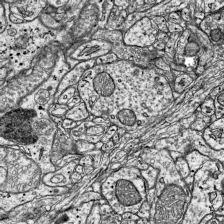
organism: Mouse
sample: Visual Cortex